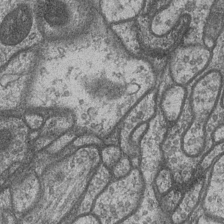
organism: Drosophila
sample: Optic medulla